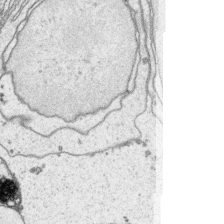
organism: Platynereis dumerilii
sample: Parapodia